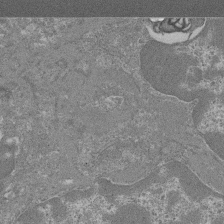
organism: Mouse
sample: Glomerulus